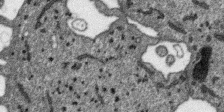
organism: Human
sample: Lung epithelial cells infected with SARS-CoV-2